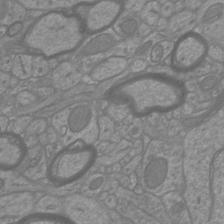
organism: Mouse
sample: Cortical neurons